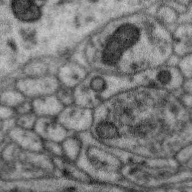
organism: Zebra finch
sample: Brain